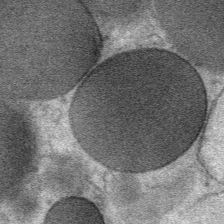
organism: Mouse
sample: Mouse Salivary gland